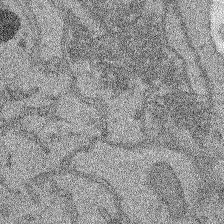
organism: Human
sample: HeLa cells